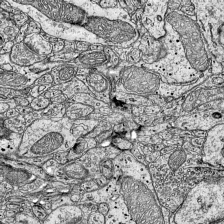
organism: Mouse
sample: Visual Cortex